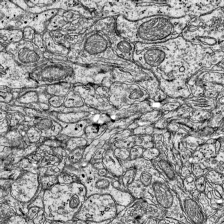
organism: Mouse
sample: Visual Cortex